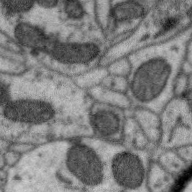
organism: Zebra finch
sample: Brain